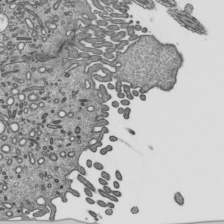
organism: Mouse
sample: Mouse epididymis efferent ductule cilia